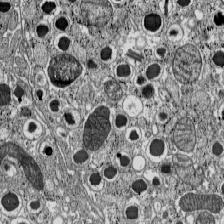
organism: C57BL Mouse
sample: Pancreatic islet